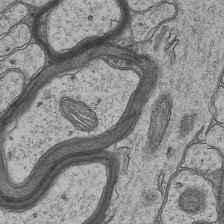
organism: Mouse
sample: CA1 Hippocampus